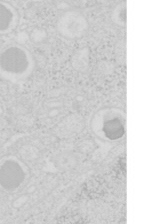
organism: Mouse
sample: Pancreas